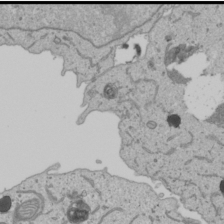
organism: Human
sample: Mitochondria in U2OS cells